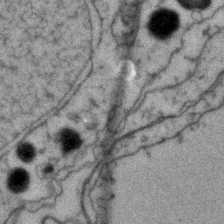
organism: Zebrafish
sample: Zebrafish embryo